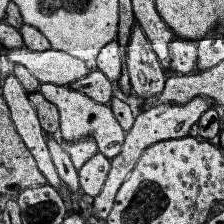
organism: Human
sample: Temporal Lobe